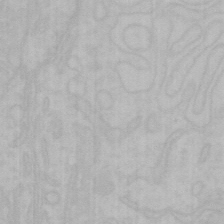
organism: Mouse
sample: Choroid plexus